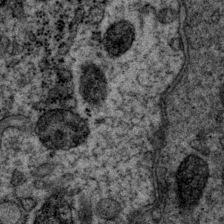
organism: P. pacificus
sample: Pharynx